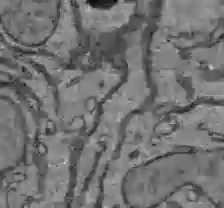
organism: C57BL Mouse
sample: Liver